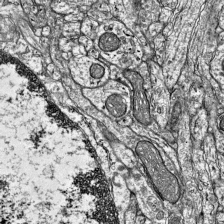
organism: Mouse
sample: Visual Cortex